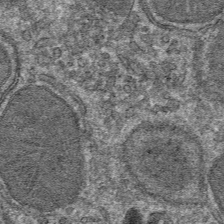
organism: Mouse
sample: Mouse hepatocytes